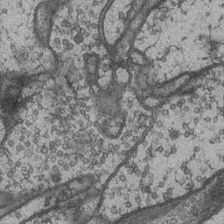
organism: Drosophila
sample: Optic medulla